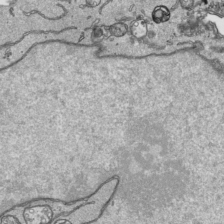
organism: Human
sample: Mitochondria in HCT116 cells